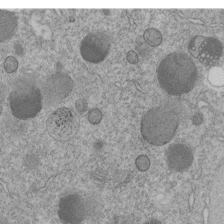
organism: C. elegans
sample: C. elegans embryo early stage